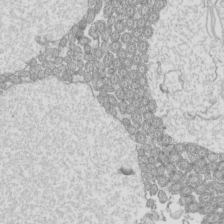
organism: Mouse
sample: Cilia; mouse epididymis